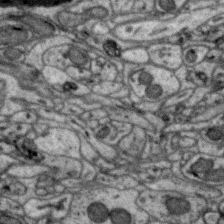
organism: Zebra finch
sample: Brain